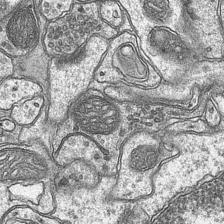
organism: Mouse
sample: CA1 Hippocampus